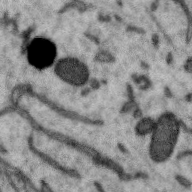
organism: Zebra finch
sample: Brain